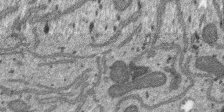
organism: Human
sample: Lung epithelial cells infected with SARS-CoV-2